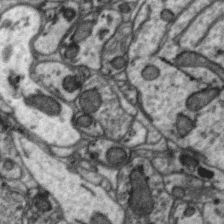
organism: Zebra finch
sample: Brain